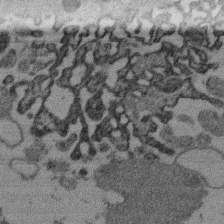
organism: Mouse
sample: Dividing mouse embryo 1 cell stage